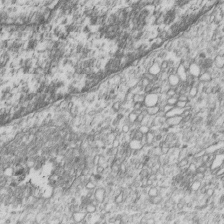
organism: Human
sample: MDA-MB-231 cells